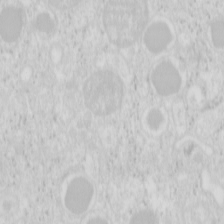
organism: Mouse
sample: Pancreas